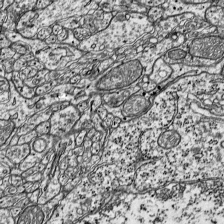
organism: Mouse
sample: Visual Cortex